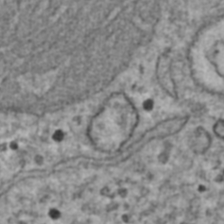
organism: Human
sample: Blood